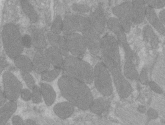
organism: C57BL Mouse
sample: Tibialis anterior muscle cell